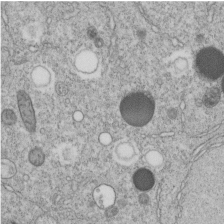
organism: C. elegans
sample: C. elegans embryo early stage